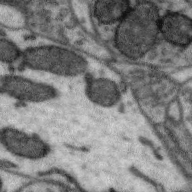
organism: Zebra finch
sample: Brain